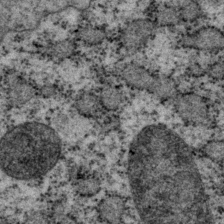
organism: P. pacificus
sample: Pharynx